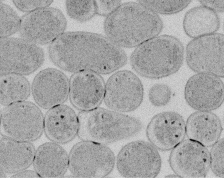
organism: E. coli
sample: Bacterial nucleoid